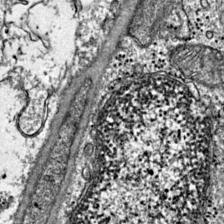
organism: Mouse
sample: Primary visual cortex